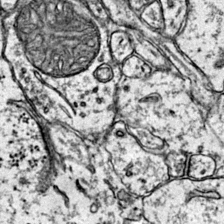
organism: Mouse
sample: Primary visual cortex